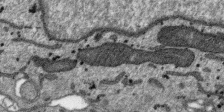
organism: Human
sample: Lung epithelial cells, uninfected (mock) control